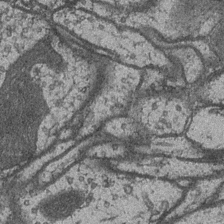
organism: Drosophila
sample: Optic medulla